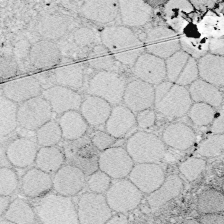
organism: Zebrafish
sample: Whole-Brain